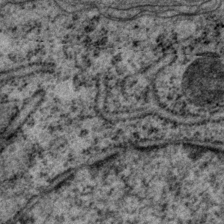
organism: P. pacificus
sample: Pharynx